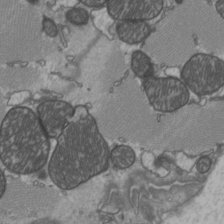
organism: C57BL Mouse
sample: Heart